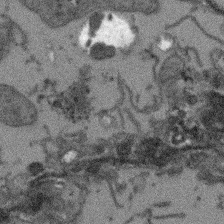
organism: Arabidopsis thaliana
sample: Root tip